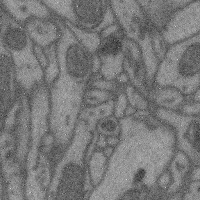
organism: Mouse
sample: Cerebral cortex